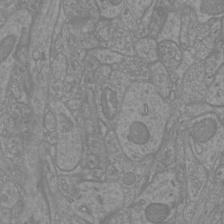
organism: Mouse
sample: Cortical neurons